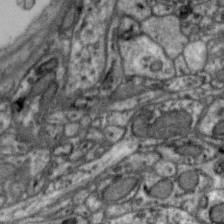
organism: Zebra finch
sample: Brain